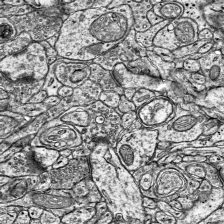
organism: Mouse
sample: Visual Cortex